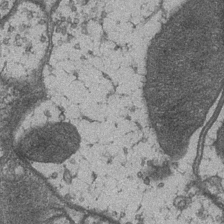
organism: Drosophila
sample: Optic medulla